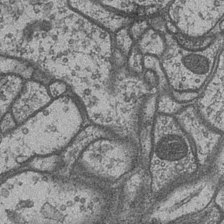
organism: Drosophila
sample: Optic medulla